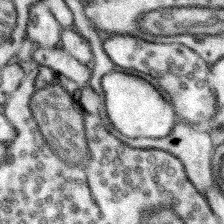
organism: Mouse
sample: Somatosensory cortex neuropil